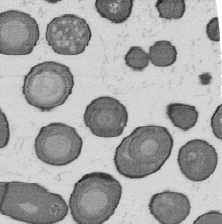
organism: B. subtilis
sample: Bacterial spore